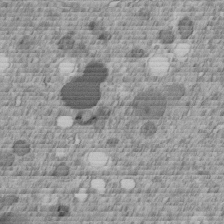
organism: C. elegans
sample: C. elegans embryo early stage